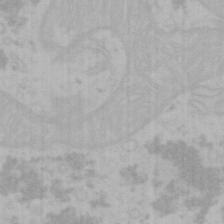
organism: Mouse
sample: Choroid plexus